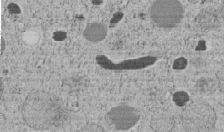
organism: C. elegans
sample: C. elegans embryo early stage